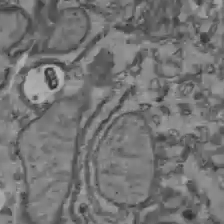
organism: C57BL Mouse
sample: Liver